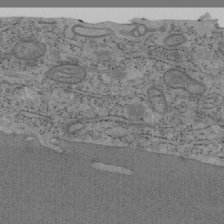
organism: Human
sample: HeLa cells